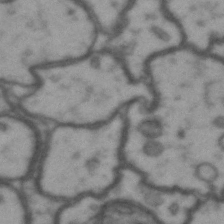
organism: Drosophila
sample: Brain